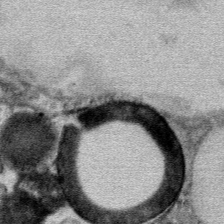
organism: Mouse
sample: Mouse hepatocytes